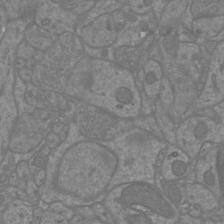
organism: Mouse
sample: Cortical neurons